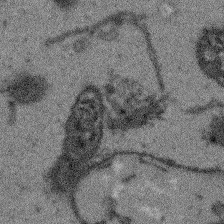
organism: Arabidopsis thaliana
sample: Root tip